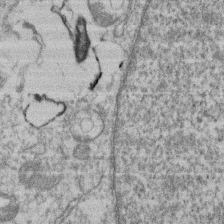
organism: Mouse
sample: T cell stromal cell synapse